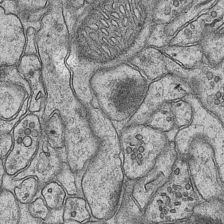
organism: Mouse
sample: CA1 Hippocampus